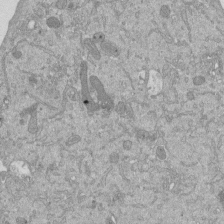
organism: Mouse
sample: ED-1 cell nuclei; centrioles